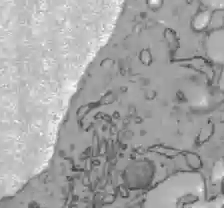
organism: C57BL Mouse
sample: Liver